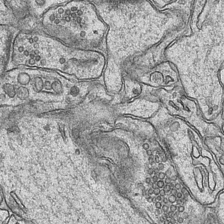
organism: Mouse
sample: CA1 Hippocampus